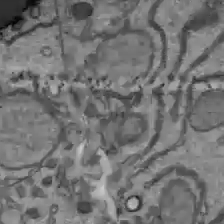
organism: C57BL Mouse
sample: Liver